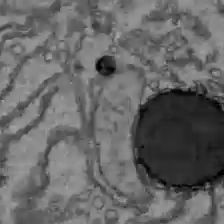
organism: C57BL Mouse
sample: Liver